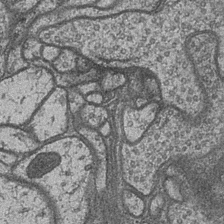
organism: Drosophila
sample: Optic medulla